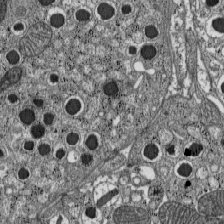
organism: C57BL Mouse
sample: Pancreatic islet